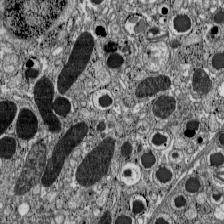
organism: C57BL Mouse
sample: Pancreatic islet